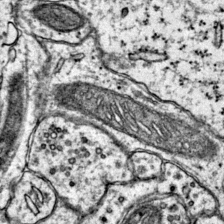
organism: Mouse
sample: Primary visual cortex